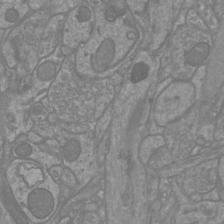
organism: Mouse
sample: Cortical neurons